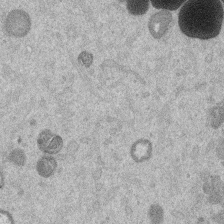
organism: Mouse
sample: Dividing mouse embryo 1 cell stage